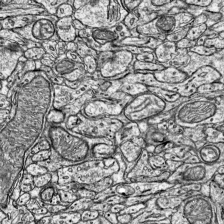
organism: Mouse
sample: Visual Cortex